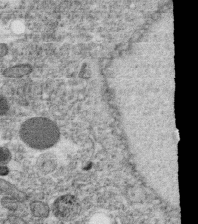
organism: C. elegans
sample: C. elegans oocyte; sperm cells